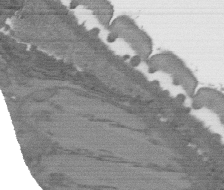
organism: C. elegans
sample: AFD neurons C. elegans